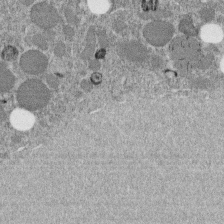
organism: C. elegans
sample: C. elegans embryo early stage